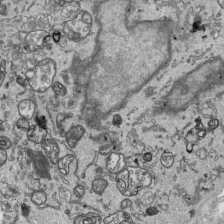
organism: Human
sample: Mitochondria in HCT116 cells